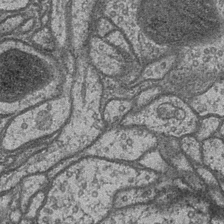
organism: Drosophila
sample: Optic medulla